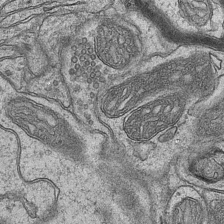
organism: Mouse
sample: CA1 Hippocampus